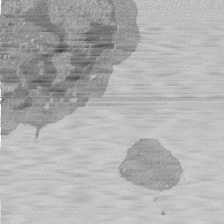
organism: Mouse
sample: Activated Pmel transgenic CD8+ T Cells